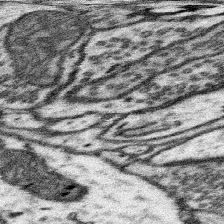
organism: Mouse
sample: Somatosensory cortex neuropil